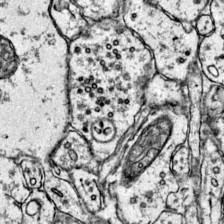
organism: Mouse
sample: Primary visual cortex